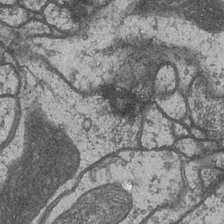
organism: Drosophila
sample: Optic medulla